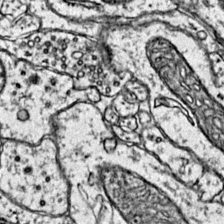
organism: Mouse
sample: Primary visual cortex